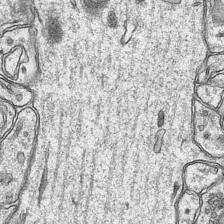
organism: Mouse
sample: CA1 Hippocampus